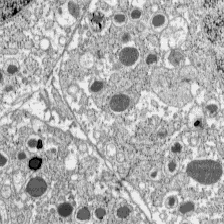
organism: C57BL Mouse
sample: Pancreatic islet